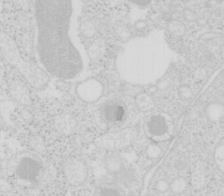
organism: Mouse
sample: Pancreas